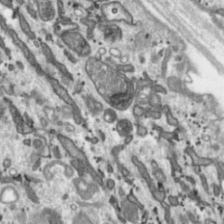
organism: Toxoplasma gondii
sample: Parasites in a vacuole inside a host cell